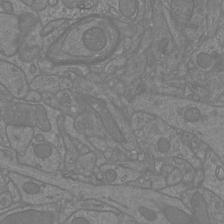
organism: Mouse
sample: Cortical neurons